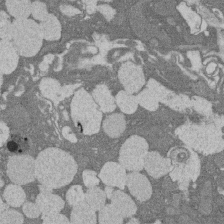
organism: Rat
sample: Salivary granule